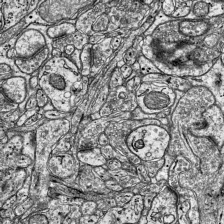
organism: Mouse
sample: Visual Cortex